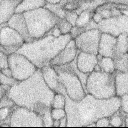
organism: Rabbit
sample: Retina